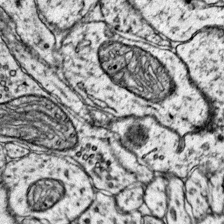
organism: Mouse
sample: Primary visual cortex